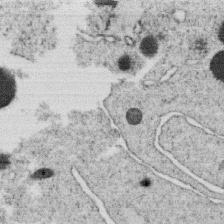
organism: C. elegans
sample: C. elegans oocyte; sperm cells